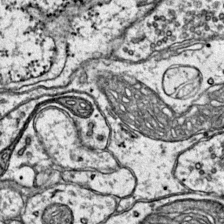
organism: Mouse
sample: Primary visual cortex